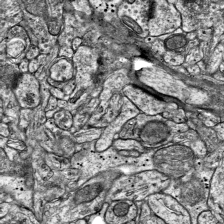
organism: Mouse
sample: Visual Cortex